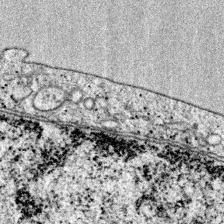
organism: Human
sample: HeLa cells